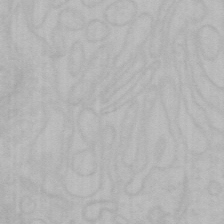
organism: Mouse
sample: Choroid plexus